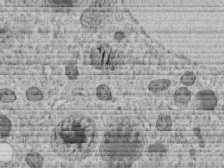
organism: C. elegans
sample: C. elegans embryo early stage